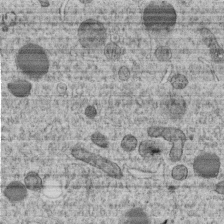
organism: C. elegans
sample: C. elegans embryo early stage